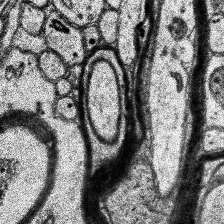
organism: Human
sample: Temporal Lobe